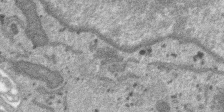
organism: Human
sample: Lung epithelial cells infected with SARS-CoV-2